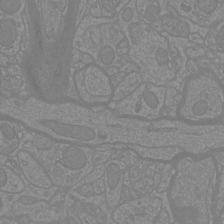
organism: Mouse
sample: Cortical neurons